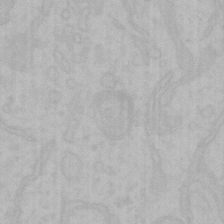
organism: Mouse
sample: Choroid plexus